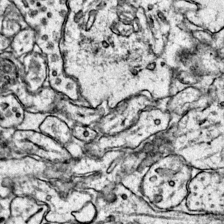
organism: Mouse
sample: Primary visual cortex